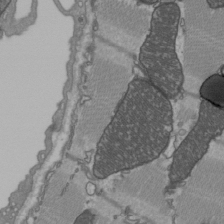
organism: C57BL Mouse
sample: Heart